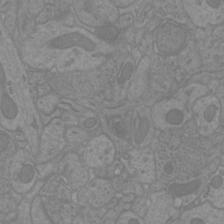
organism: Mouse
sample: Cortical neurons